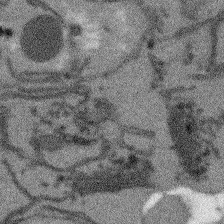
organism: Arabidopsis thaliana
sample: Root tip